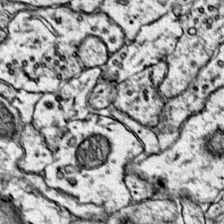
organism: Mouse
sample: Primary visual cortex